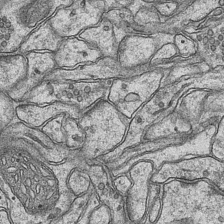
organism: Mouse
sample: CA1 Hippocampus